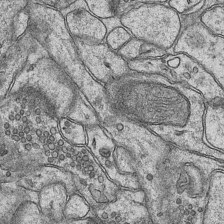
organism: Mouse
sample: CA1 Hippocampus